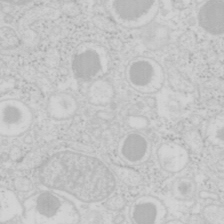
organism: Mouse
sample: Pancreas